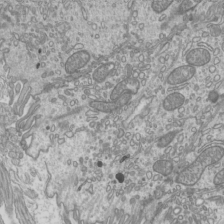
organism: Mouse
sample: Cilia; mouse epididymis